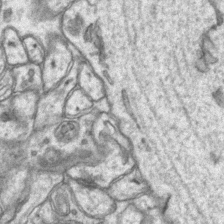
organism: Mouse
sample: CA1 Hippocampus